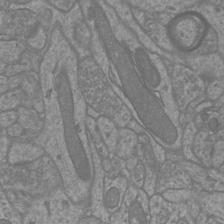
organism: Mouse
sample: Cortical neurons